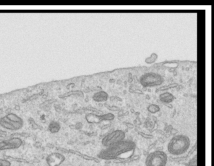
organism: Human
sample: Centriole in RPE cells